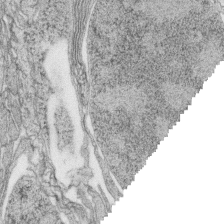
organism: Zebrafish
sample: synaptic ribbons in rod cells and cone cells